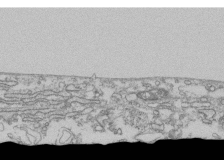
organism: Human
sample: Fibroblast cells